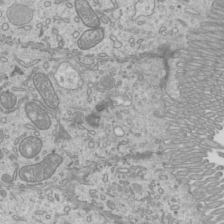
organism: Mouse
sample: Cilia; mouse epididymis